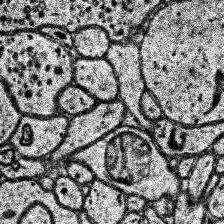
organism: Human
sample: Temporal Lobe